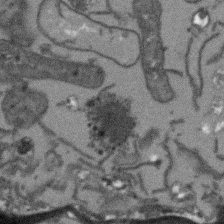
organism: Arabidopsis thaliana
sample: Root tip